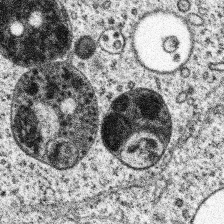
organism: Human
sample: HeLa cells